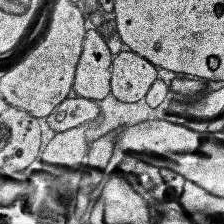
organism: Human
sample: Temporal Lobe